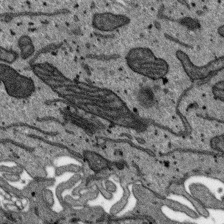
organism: Human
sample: Lung epithelial cells, uninfected (mock) control